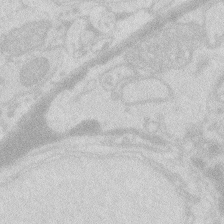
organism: Zebrafish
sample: Macrophage